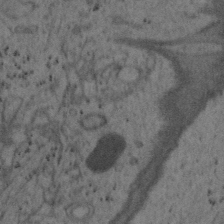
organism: Human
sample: HeLa cells